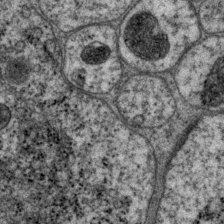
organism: P. pacificus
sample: Pharynx